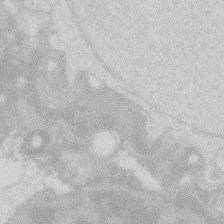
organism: Zebrafish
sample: Macrophage